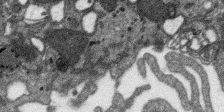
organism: Human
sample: Lung epithelial cells infected with SARS-CoV-2